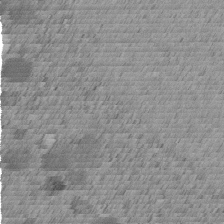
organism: C. elegans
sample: C. elegans embryo early stage